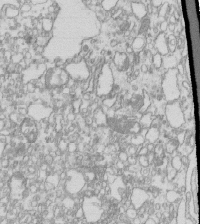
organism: Mouse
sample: Macrophages